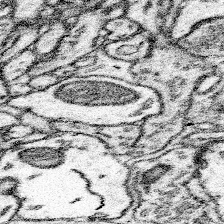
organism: Mouse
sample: Somatosensory cortex neuropil